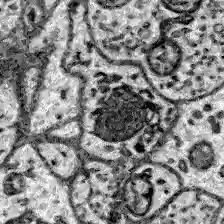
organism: Zebrafish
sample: Brain